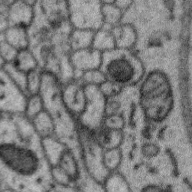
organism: Zebra finch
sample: Brain